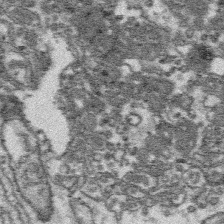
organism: Platynereis dumerilii